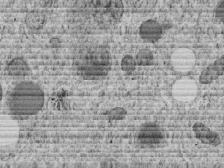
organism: C. elegans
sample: C. elegans embryo early stage